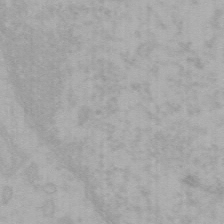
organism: Mouse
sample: Choroid plexus